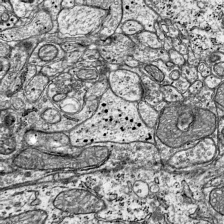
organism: Mouse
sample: Visual Cortex